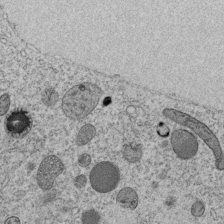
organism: C. elegans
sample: C. elegans embryo early stage